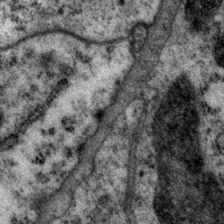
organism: P. pacificus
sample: Pharynx